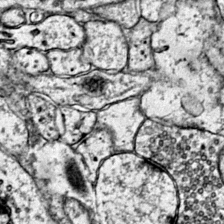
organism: Mouse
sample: Primary visual cortex